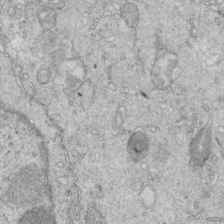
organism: Mouse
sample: Multiciliated cells